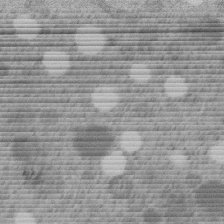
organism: C. elegans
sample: C. elegans embryo early stage